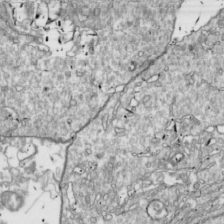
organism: Drosophila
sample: Cell division; meiosis; drosophila spermatocytes